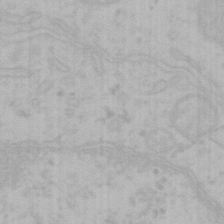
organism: Mouse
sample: Choroid plexus